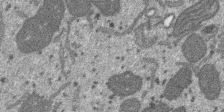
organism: Human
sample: Lung epithelial cells infected with SARS-CoV-2